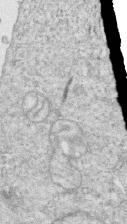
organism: Human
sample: HeLa cell HIV synapse